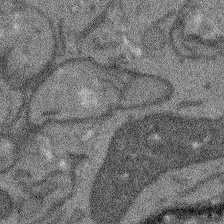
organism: Arabidopsis thaliana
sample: Root tip